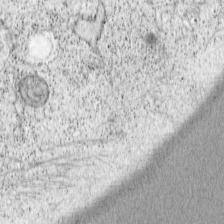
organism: African green monkey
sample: COS-7 cells